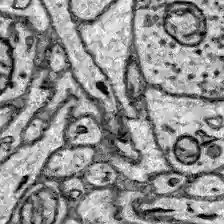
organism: Zebrafish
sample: Brain